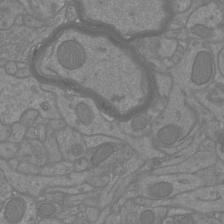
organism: Mouse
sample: Cortical neurons